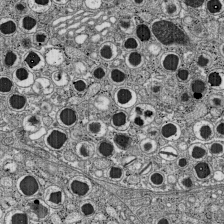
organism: C57BL Mouse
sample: Pancreatic islet